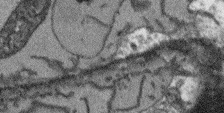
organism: Arabidopsis thaliana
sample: Root tip